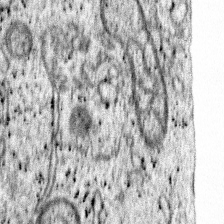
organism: Human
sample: HeLa cells